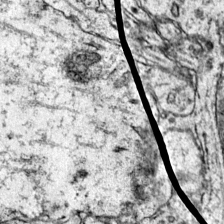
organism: Mouse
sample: Primary visual cortex